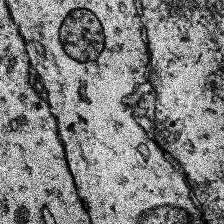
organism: Human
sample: Temporal Lobe